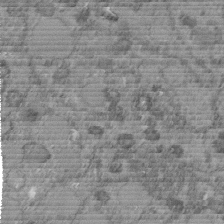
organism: C. elegans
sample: C. elegans embryo early stage